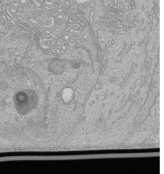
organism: Human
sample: Retinal organoid Rod and Cone cells